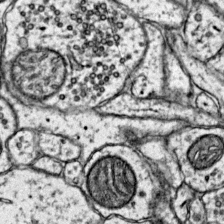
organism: Mouse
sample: Primary visual cortex